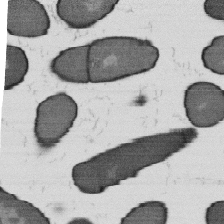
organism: B. subtilis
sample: Bacterial spore